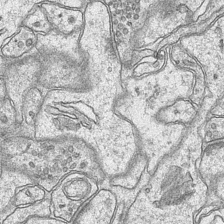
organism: Mouse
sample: CA1 Hippocampus